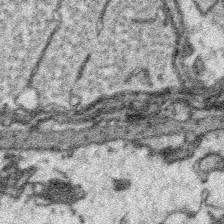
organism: Platynereis dumerilii